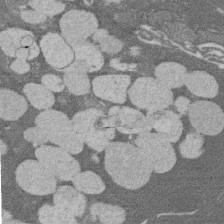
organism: Rat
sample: Salivary granule